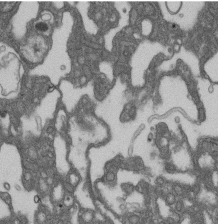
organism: Drosophila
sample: Nephrocyte